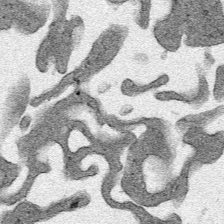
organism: Human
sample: Mitochondria in HCT116 cells